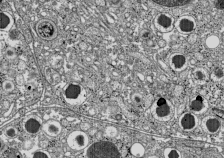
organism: C57BL Mouse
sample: Pancreatic islet